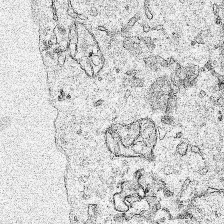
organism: Human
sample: Mitochondria in HCT116 cells